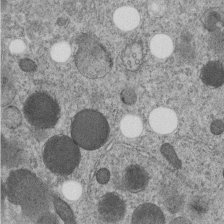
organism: C. elegans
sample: C. elegans embryo early stage